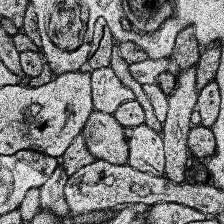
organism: Human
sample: Temporal Lobe